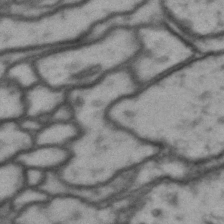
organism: Drosophila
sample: Brain